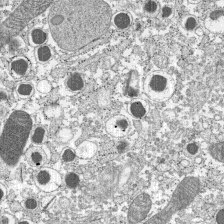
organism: C57BL Mouse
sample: Pancreatic islet